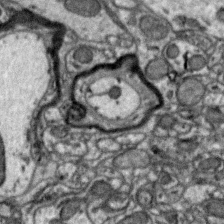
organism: Zebra finch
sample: Brain